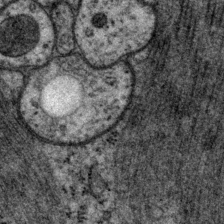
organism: P. pacificus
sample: Pharynx